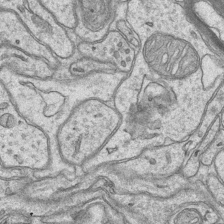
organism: Mouse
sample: CA1 Hippocampus